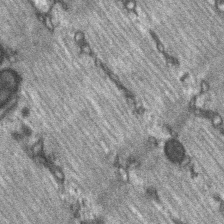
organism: C57BL Mouse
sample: Soleus